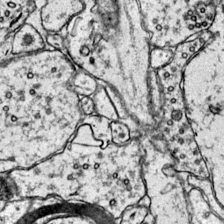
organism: Mouse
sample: Primary visual cortex